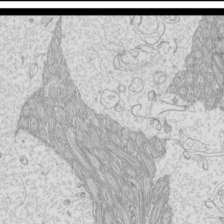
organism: Mouse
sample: Cilia; mouse epididymis